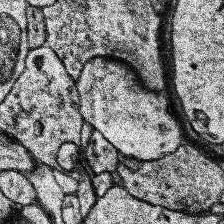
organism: Human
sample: Temporal Lobe